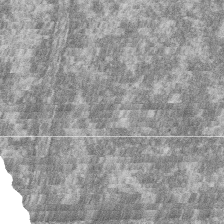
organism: Zebrafish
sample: Cilia; retinal pigment epithelium